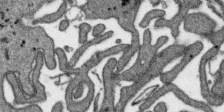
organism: Human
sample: Lung epithelial cells, uninfected (mock) control